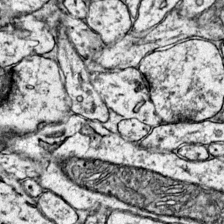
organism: Mouse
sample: Primary visual cortex